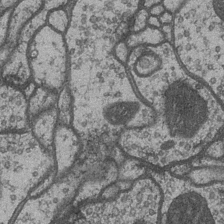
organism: Drosophila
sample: Optic medulla